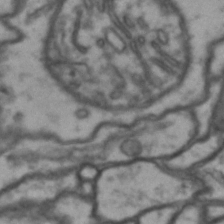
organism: Drosophila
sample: Brain